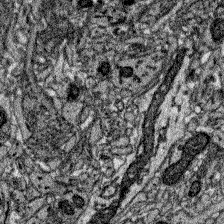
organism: Zebrafish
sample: Larval olfactory bulb